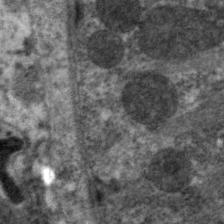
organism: C. elegans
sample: Pharynx